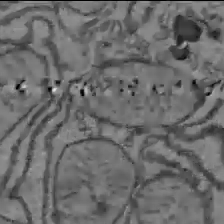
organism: C57BL Mouse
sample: Liver